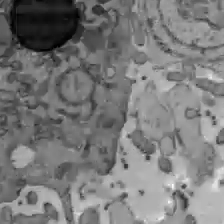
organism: C57BL Mouse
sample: Liver